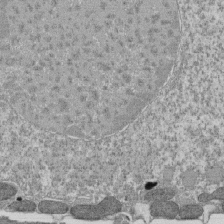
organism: Tetrahymena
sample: Cilia in tetrahymena